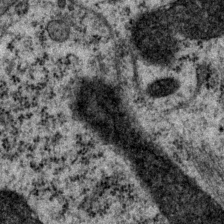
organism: P. pacificus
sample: Pharynx